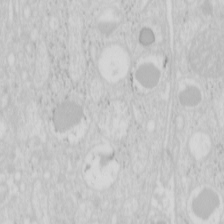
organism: Mouse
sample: Pancreas